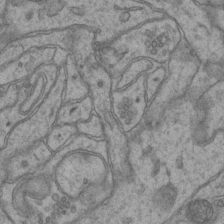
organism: Mouse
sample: CA1 Hippocampus